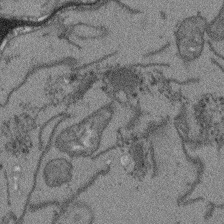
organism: Arabidopsis thaliana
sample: Root tip